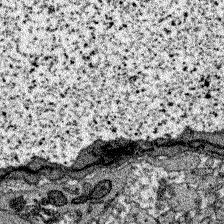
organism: Zebrafish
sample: Larval olfactory bulb